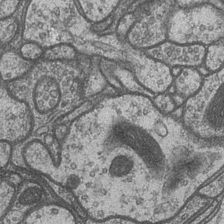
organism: Drosophila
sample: Optic medulla